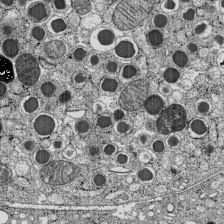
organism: C57BL Mouse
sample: Pancreatic islet